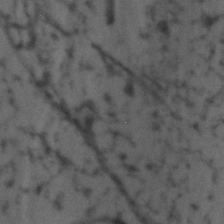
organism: Zebrafish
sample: Zebrafish embryo